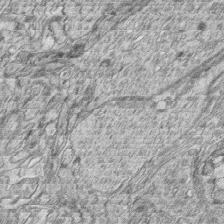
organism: Zebrafish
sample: synaptic ribbons in rod cells and cone cells